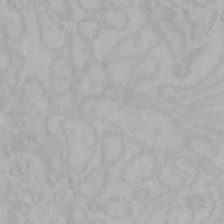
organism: Mouse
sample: Choroid plexus